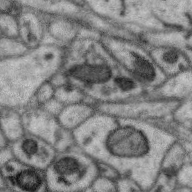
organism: Zebra finch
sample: Brain